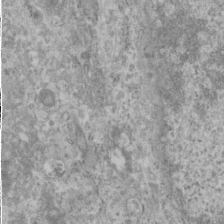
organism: Human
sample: Cilia; basal body in RPE cells